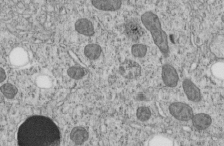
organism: C. elegans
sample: C. elegans embryo early stage